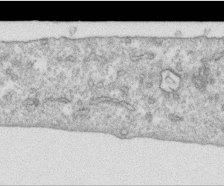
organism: Human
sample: Centriole in RPE cells